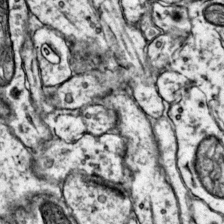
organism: Mouse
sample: Primary visual cortex